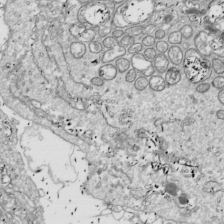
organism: Drosophila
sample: Cell division; meiosis; drosophila spermatocytes